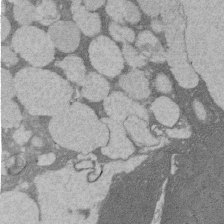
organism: Rat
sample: Salivary granule